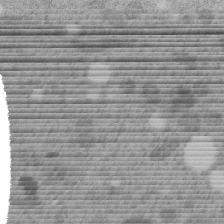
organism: C. elegans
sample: C. elegans embryo early stage